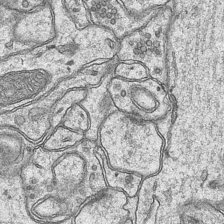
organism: Mouse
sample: CA1 Hippocampus